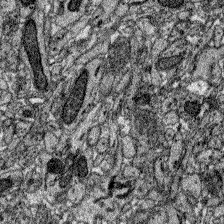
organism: Zebrafish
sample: Larval olfactory bulb